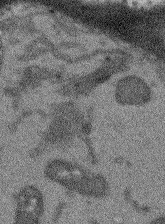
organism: Arabidopsis thaliana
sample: Root tip